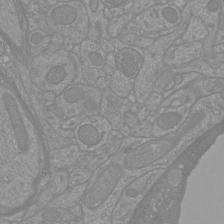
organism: Mouse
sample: Cortical neurons